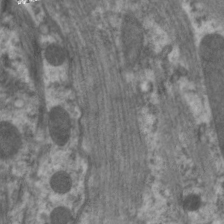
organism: C. elegans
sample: Pharynx